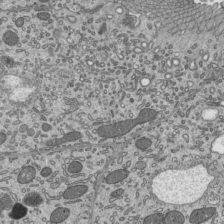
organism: Mouse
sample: Mouse epididymis efferent ductule cilia